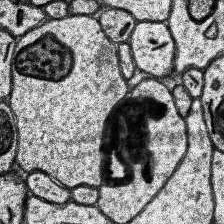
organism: Human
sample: Temporal Lobe